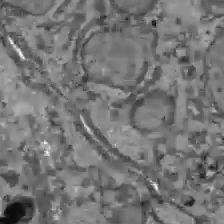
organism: C57BL Mouse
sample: Liver